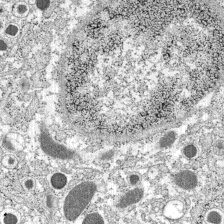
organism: C57BL Mouse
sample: Pancreatic islet